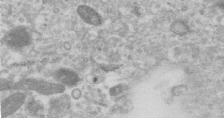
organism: Human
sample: Centriole in RPE cells